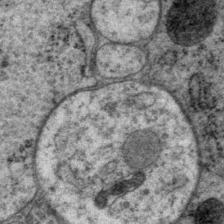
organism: P. pacificus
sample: Pharynx